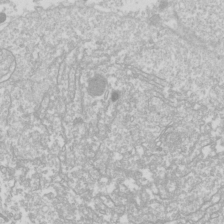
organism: Drosophila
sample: Cell division; meiosis; drosophila spermatocytes